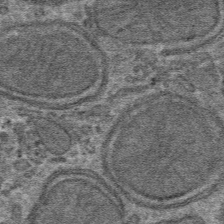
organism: Mouse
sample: Mouse hepatocytes